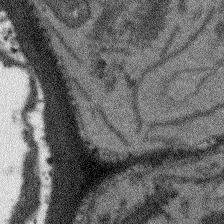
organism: Arabidopsis thaliana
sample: Root tip